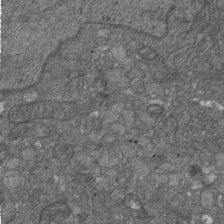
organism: Drosophila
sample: Nephrocyte